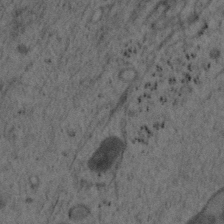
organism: Human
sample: HeLa cells